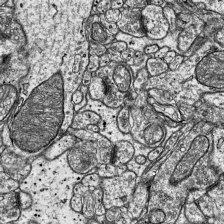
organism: Mouse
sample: Visual Cortex